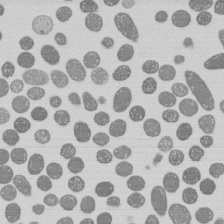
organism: E. coli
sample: Bacterial nucleoid